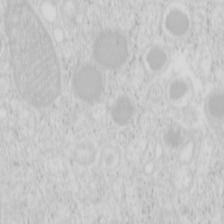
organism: Mouse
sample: Pancreas